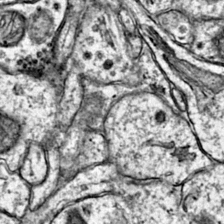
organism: Mouse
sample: Primary visual cortex